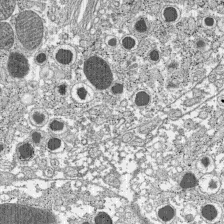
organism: C57BL Mouse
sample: Pancreatic islet